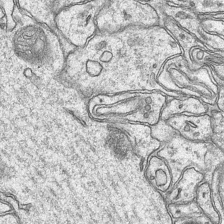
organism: Mouse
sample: CA1 Hippocampus